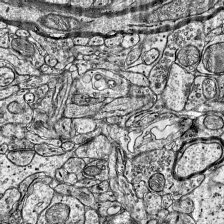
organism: Mouse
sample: Visual Cortex